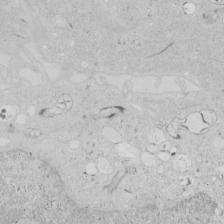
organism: Human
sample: Mitochondria in HCT116 cells